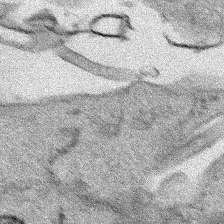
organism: Human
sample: Mitochondria in HCT116 cells